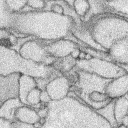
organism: Rabbit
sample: Retina